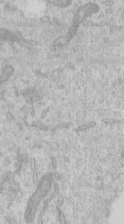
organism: Human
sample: Centriole in RPE cells